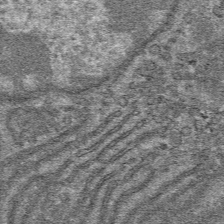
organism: Mouse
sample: Mouse hepatocytes